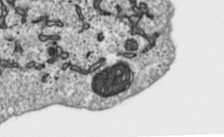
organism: Toxoplasma gondii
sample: Parasites in a vacuole inside a host cell